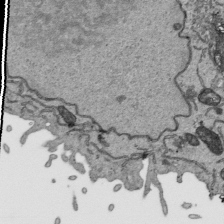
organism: Human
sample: Mitochondria in HCT116 cells